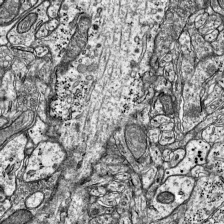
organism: Mouse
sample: Visual Cortex